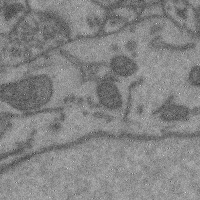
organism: Mouse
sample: Cerebral cortex